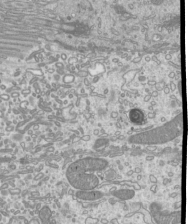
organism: Mouse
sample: Cilia; mouse epididymis